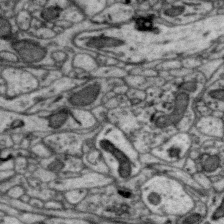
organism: Zebra finch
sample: Brain